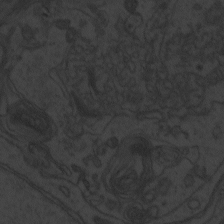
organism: Zebrafish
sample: Macrophage infected with Toxoplasma gondii